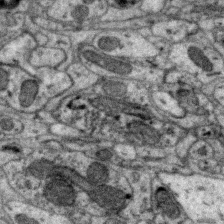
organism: Zebra finch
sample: Brain